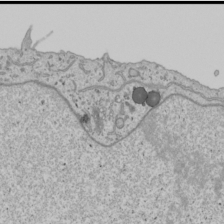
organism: Human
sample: Mitochondria in U2OS cells